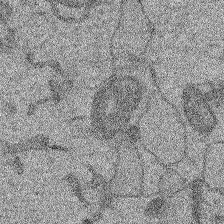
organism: Human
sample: HeLa cells